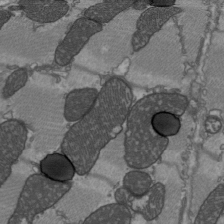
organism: C57BL Mouse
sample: Heart